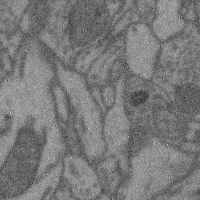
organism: Mouse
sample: Cerebral cortex